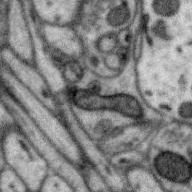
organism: Zebra finch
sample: Brain